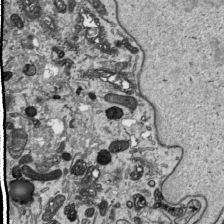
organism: Human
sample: Mitochondria in HCT116 cells